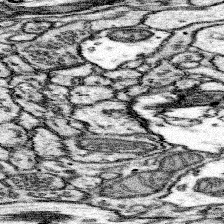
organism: Mouse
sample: Somatosensory cortex neuropil